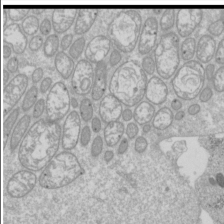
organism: Drosophila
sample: Cell division; meiosis; drosophila spermatocytes